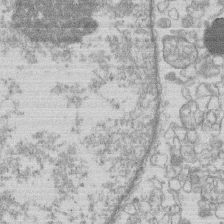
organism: Human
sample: Macrophage cells